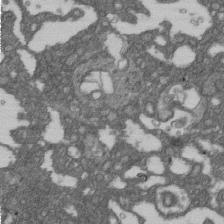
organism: Drosophila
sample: Nephrocyte